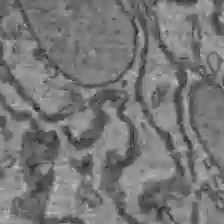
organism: C57BL Mouse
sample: Liver